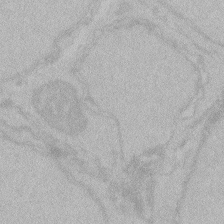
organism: Zebrafish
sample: Macrophage infected with Toxoplasma gondii